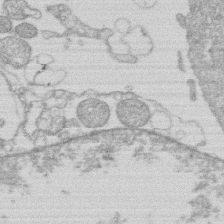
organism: Human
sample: Macrophage cells